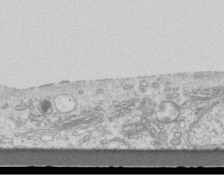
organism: Mouse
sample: Centriole in ependymal cells